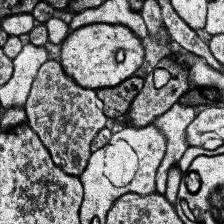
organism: Human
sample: Temporal Lobe